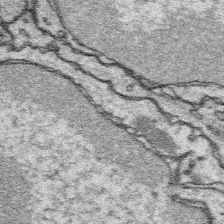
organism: Platynereis dumerilii